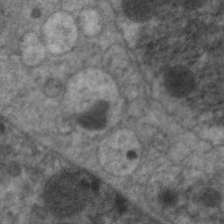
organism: C. elegans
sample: Pharynx